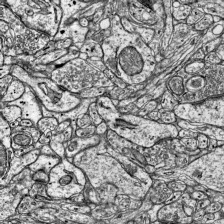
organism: Mouse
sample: Visual Cortex